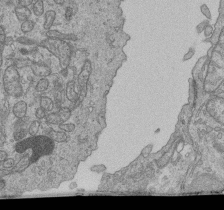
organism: Human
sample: Retinal organoid Rod and Cone cells